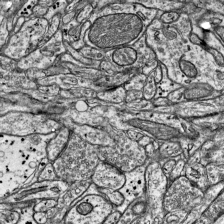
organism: Mouse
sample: Visual Cortex